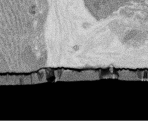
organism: Rat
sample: Salivary granule